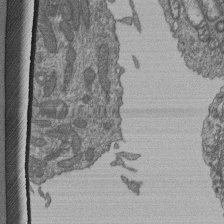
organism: Human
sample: Retinal organoid Rod and Cone cells